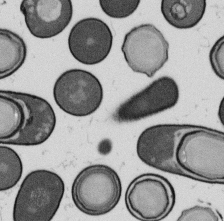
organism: B. subtilis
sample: Bacterial spore